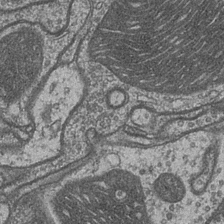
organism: Drosophila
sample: Optic medulla